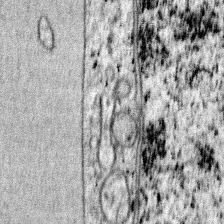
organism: Human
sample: HeLa cells